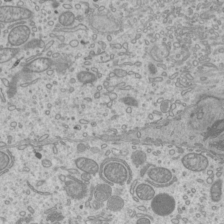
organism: Mouse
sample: Cilia; mouse epididymis